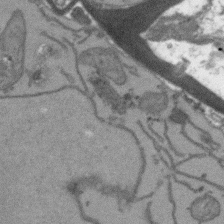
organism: Arabidopsis thaliana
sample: Root tip